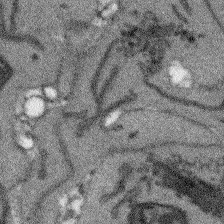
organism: Arabidopsis thaliana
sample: Root tip